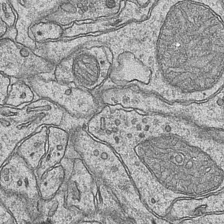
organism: Mouse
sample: CA1 Hippocampus